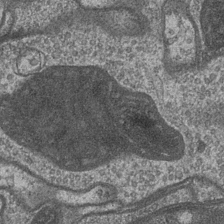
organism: Drosophila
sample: Optic medulla